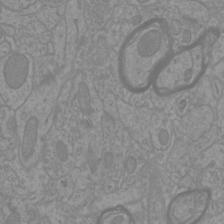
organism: Mouse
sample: Cortical neurons